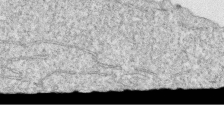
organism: Human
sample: HeLa cell HIV synapse